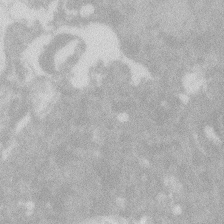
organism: Zebrafish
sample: Macrophage